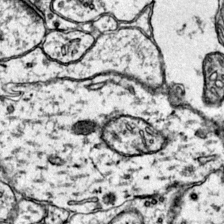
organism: Mouse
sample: Primary visual cortex